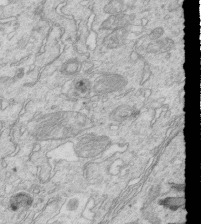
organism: Mouse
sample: Multiciliated cells